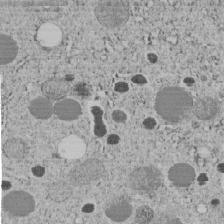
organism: C. elegans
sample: C. elegans embryo early stage